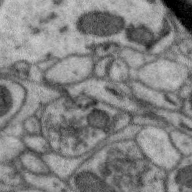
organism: Zebra finch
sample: Brain